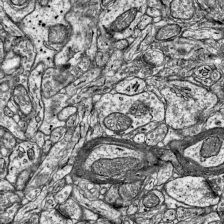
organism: Mouse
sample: Visual Cortex